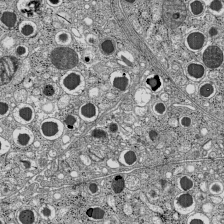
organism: C57BL Mouse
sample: Pancreatic islet